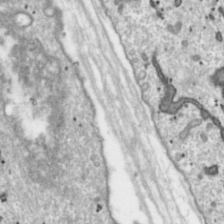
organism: Toxoplasma gondii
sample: Parasites in a vacuole inside a host cell